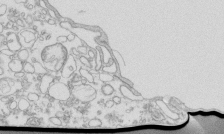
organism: Mouse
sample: Macrophages